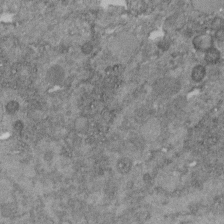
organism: C. elegans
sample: C. elegans embryo early stage